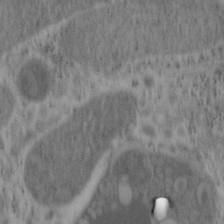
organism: Mouse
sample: OT-I killer T cells with ID8 ovarian cancer cells